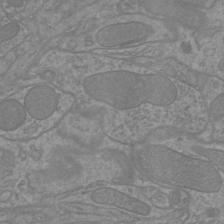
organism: Mouse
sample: Cortical neurons